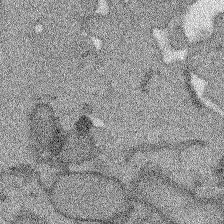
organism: Human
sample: HeLa cells